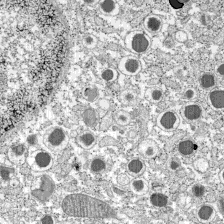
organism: C57BL Mouse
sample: Pancreatic islet